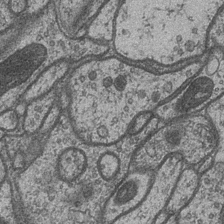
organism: Drosophila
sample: Optic medulla